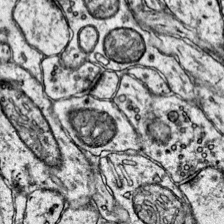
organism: Mouse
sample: Primary visual cortex